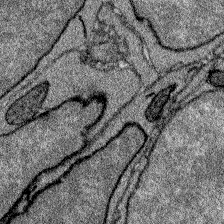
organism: Zebrafish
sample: Larval olfactory bulb